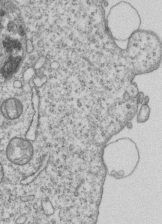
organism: Human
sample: MDA-MB-231 cells